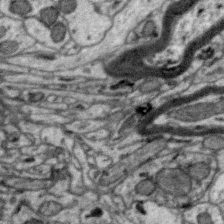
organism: Zebra finch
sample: Brain